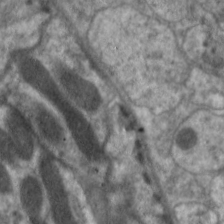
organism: C. elegans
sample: Pharynx